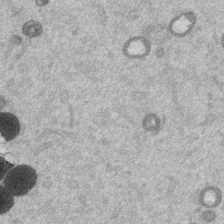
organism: Mouse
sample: Dividing mouse embryo 1 cell stage